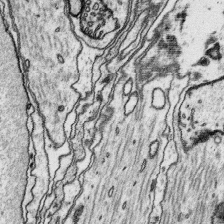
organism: Platynereis dumerilii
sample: Parapodia